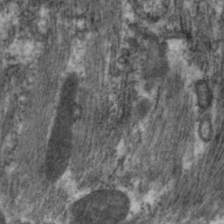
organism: C. elegans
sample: Pharynx